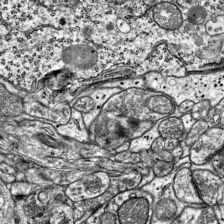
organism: Mouse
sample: Visual Cortex